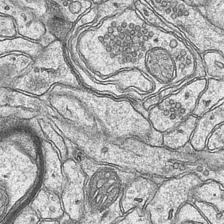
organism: Mouse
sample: CA1 Hippocampus